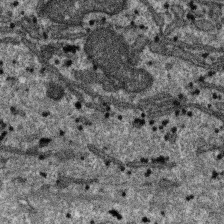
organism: Human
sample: Lung epithelial cells infected with SARS-CoV-2